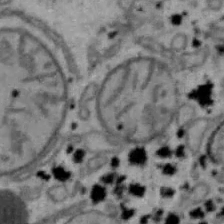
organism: Mouse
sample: Liver